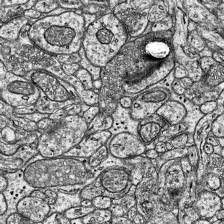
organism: Mouse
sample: Visual Cortex